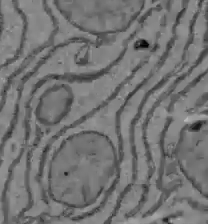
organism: C57BL Mouse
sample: Liver